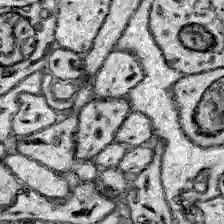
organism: Zebrafish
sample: Brain